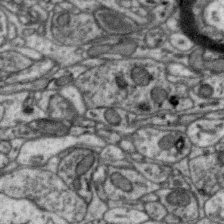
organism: Zebra finch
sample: Brain